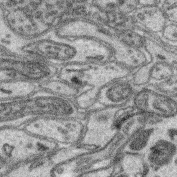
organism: Mouse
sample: Retina